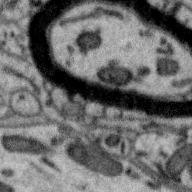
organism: Zebra finch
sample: Brain